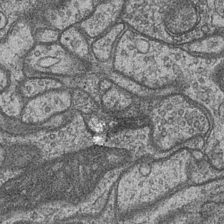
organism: Drosophila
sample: Optic medulla